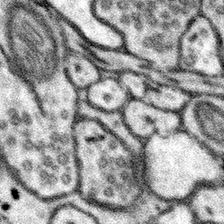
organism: Mouse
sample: Somatosensory cortex neuropil